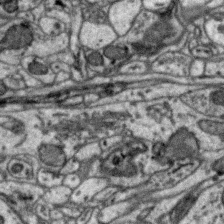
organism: Zebra finch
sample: Brain